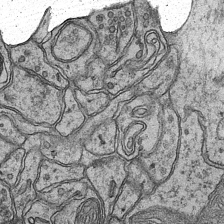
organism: Mouse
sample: CA1 Hippocampus